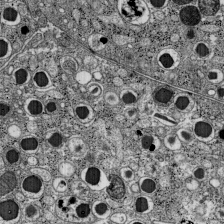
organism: C57BL Mouse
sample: Pancreatic islet